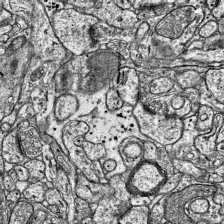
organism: Mouse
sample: Visual Cortex